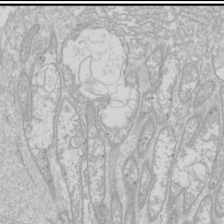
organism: Drosophila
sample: Cell division; meiosis; drosophila spermatocytes